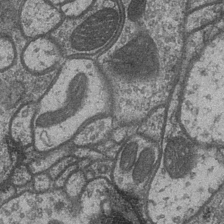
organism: Drosophila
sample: Optic medulla